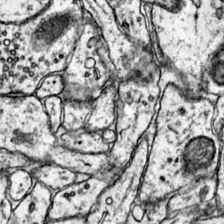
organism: Mouse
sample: Primary visual cortex